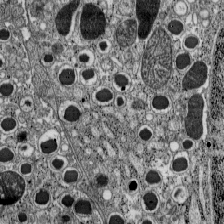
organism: C57BL Mouse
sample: Pancreatic islet